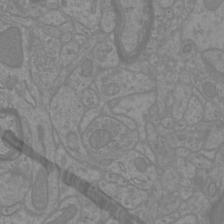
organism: Mouse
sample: Cortical neurons